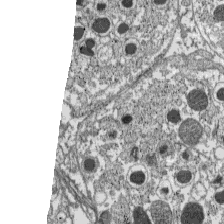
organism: C57BL Mouse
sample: Pancreatic islet